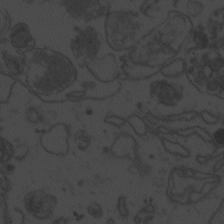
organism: Zebrafish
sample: Macrophage infected with Toxoplasma gondii